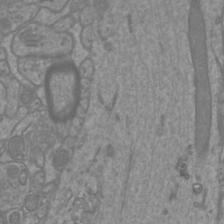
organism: Mouse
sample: Cortical neurons